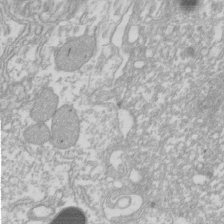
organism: Xenopus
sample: Cilia; centrioles in frog embryo cells